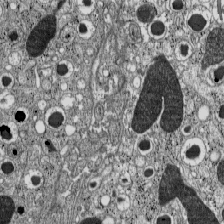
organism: C57BL Mouse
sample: Pancreatic islet